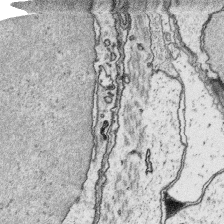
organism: Platynereis dumerilii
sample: Parapodia